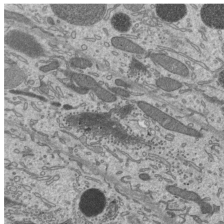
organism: Mouse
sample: Mouse epididymis efferent ductule cilia